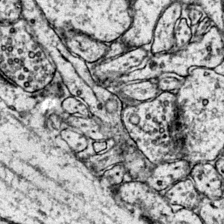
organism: Mouse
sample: Primary visual cortex